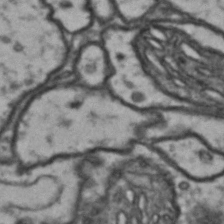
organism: Drosophila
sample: Brain